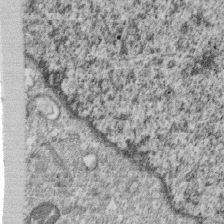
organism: African green monkey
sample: Vero E6 cells infected with SARS-CoV-2